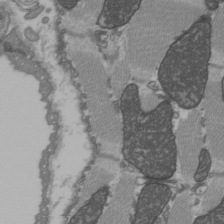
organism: C57BL Mouse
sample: Heart